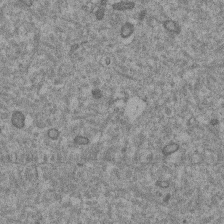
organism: Mouse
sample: Dividing mouse embryo 1 cell stage